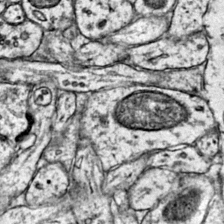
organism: Mouse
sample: Primary visual cortex